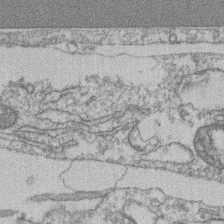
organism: Mouse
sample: T cell stromal cell synapse